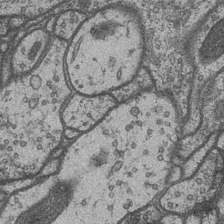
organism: Drosophila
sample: Optic medulla